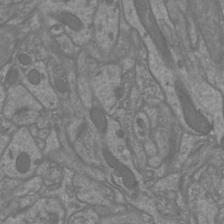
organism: Mouse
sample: Cortical neurons